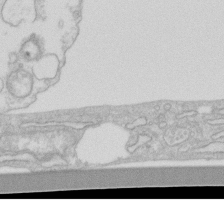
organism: Human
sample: Fibroblast cells